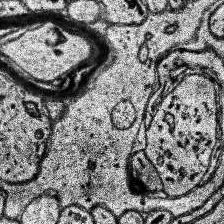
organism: Human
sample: Temporal Lobe